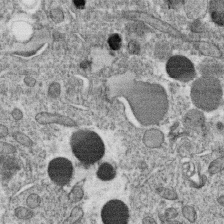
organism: C. elegans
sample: C. elegans oocyte; sperm cells